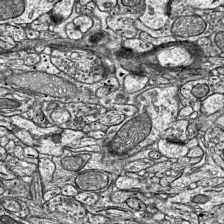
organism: Mouse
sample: Visual Cortex